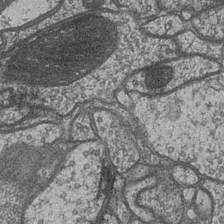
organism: Drosophila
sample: Optic medulla